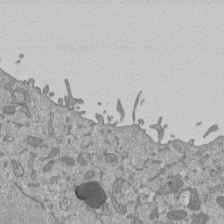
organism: Mouse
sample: ED-1 cell nuclei; centrioles